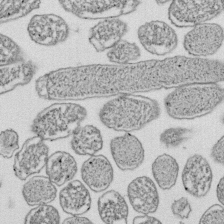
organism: E. coli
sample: Bacterial nucleoid